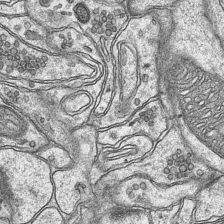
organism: Mouse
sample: CA1 Hippocampus